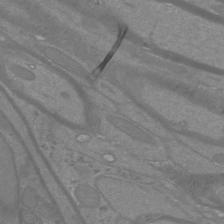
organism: Mouse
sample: Cortical neurons